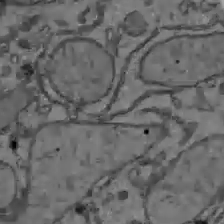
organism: C57BL Mouse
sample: Liver